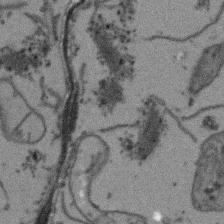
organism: Arabidopsis thaliana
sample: Root tip